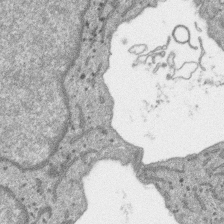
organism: Human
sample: Lung epithelial cells infected with SARS-CoV-2